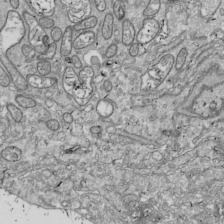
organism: Drosophila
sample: Cell division; meiosis; drosophila spermatocytes